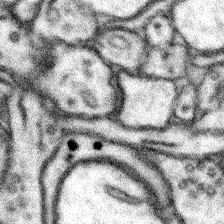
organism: Mouse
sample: Somatosensory cortex neuropil